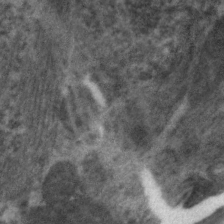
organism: C. elegans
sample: Pharynx